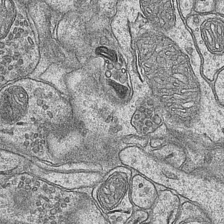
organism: Mouse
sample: CA1 Hippocampus